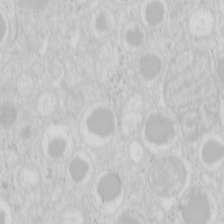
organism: Mouse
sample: Pancreas